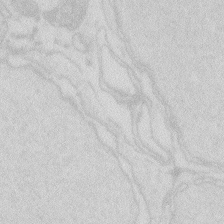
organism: Zebrafish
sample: Macrophage